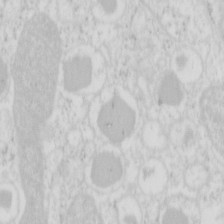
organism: Mouse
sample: Pancreas